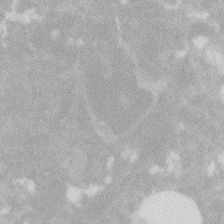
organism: Zebrafish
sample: Macrophage